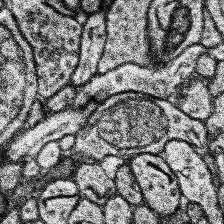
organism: Human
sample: Temporal Lobe